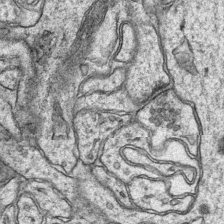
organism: Mouse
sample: CA1 Hippocampus